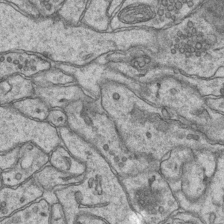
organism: Mouse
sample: CA1 Hippocampus